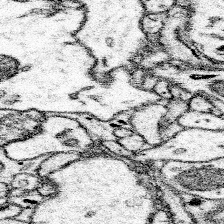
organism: Mouse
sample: Somatosensory cortex neuropil